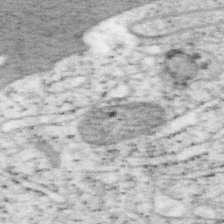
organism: Mouse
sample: OT-I killer T cells with ID8 ovarian cancer cells